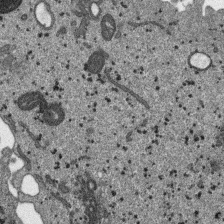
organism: Human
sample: Lung epithelial cells infected with SARS-CoV-2